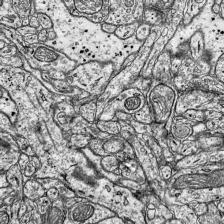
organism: Mouse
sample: Visual Cortex